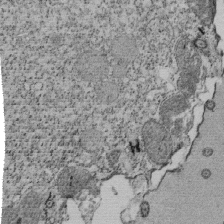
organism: Tetrahymena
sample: Cilia in tetrahymena